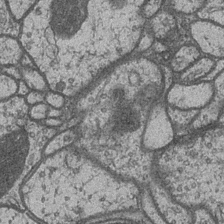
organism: Drosophila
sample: Optic medulla